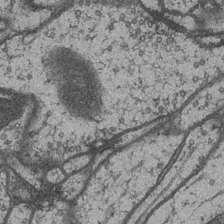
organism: Drosophila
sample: Optic medulla